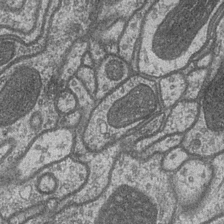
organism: Drosophila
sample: Optic medulla